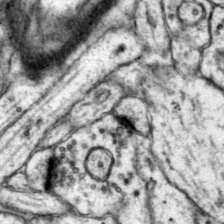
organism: Mouse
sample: Primary visual cortex